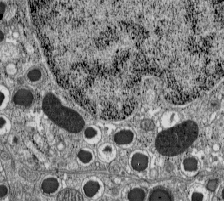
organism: C57BL Mouse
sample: Pancreatic islet